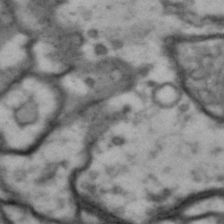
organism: Drosophila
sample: Brain